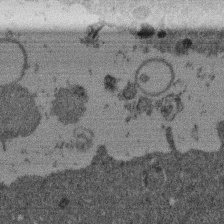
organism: Mouse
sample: Dividing mouse embryo 1 cell stage